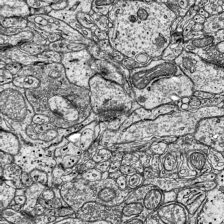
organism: Mouse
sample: Visual Cortex